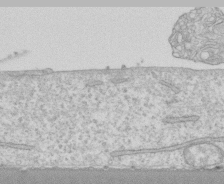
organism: Human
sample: CRL-1474